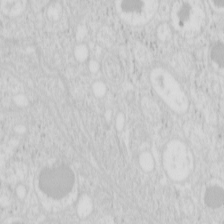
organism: Mouse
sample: Pancreas